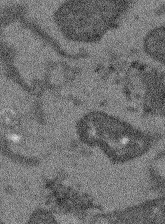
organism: Arabidopsis thaliana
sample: Root tip